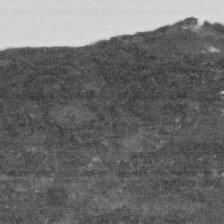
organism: Human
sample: Fibroblast cells